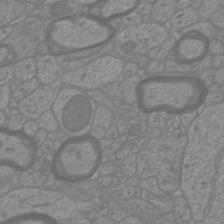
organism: Mouse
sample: Cortical neurons